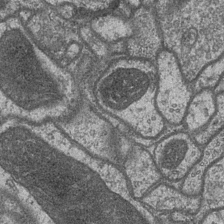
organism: Drosophila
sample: Optic medulla